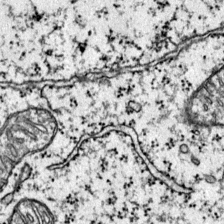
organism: Mouse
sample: Primary visual cortex